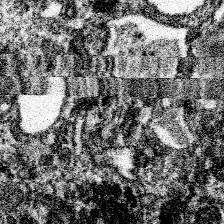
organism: Spongilla lacustris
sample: Neuroid cell